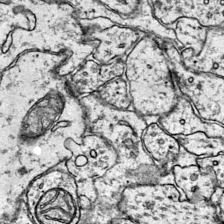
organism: Mouse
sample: Primary visual cortex